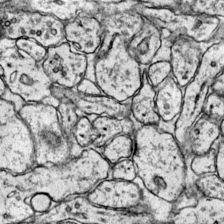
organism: Mouse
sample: Primary visual cortex